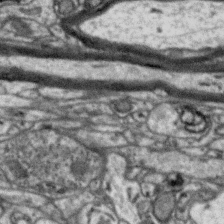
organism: Zebra finch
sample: Brain